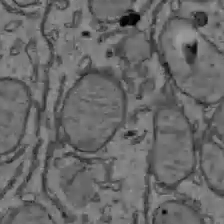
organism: C57BL Mouse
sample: Liver